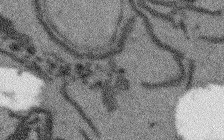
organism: Arabidopsis thaliana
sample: Root tip